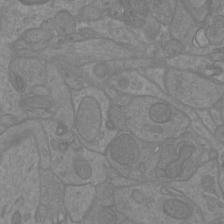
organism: Mouse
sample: Cortical neurons